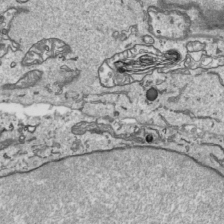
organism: Human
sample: Mitochondria in HCT116 cells